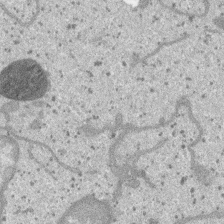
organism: Human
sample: Lung epithelial cells infected with SARS-CoV-2